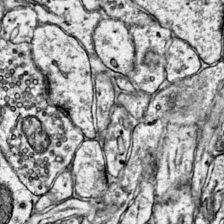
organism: Mouse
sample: Primary visual cortex